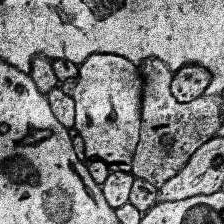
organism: Human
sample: Temporal Lobe